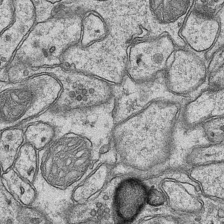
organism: Mouse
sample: CA1 Hippocampus